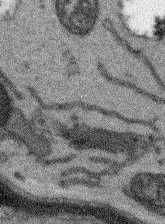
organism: Arabidopsis thaliana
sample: Root tip